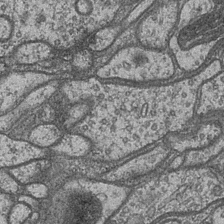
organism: Drosophila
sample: Optic medulla